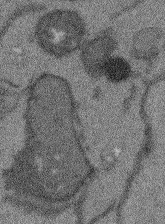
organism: Arabidopsis thaliana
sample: Root tip